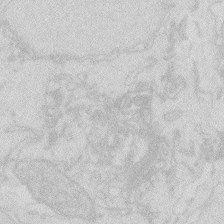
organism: Zebrafish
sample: Macrophage